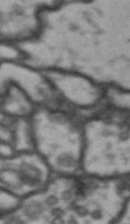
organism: Drosophila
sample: Brain